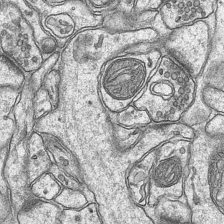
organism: Mouse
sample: CA1 Hippocampus